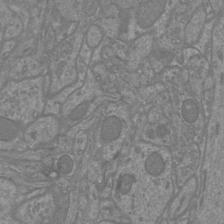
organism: Mouse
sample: Cortical neurons